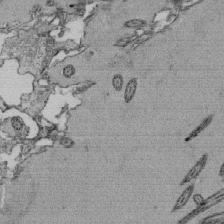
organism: Tetrahymena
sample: Cilia in tetrahymena